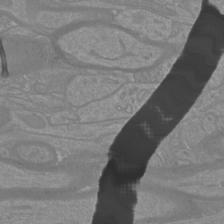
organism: Mouse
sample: Cortical neurons